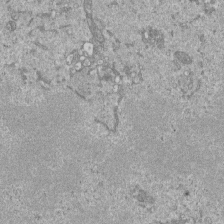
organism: Mouse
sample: ED-1 cell nuclei; centrioles